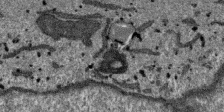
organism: Human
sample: Lung epithelial cells, uninfected (mock) control